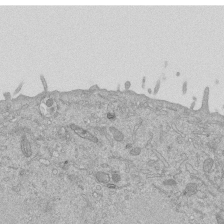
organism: Mouse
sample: ED-1 cell nuclei; centrioles